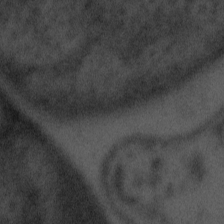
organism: Tuwongella immobilis